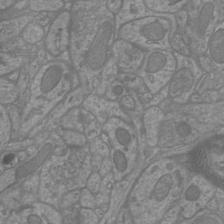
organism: Mouse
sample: Cortical neurons